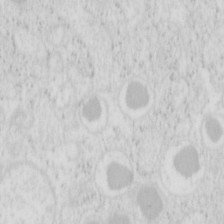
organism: Mouse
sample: Pancreas